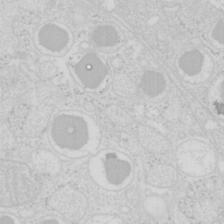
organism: Mouse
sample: Pancreas